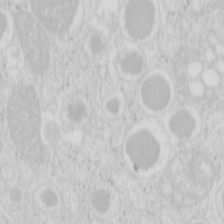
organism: Mouse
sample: Pancreas